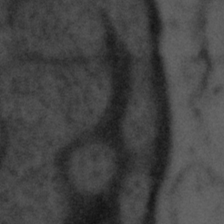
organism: Tuwongella immobilis